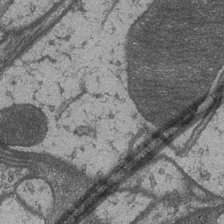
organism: Drosophila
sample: Optic medulla